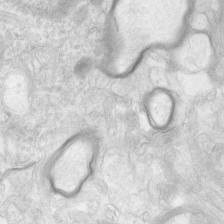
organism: Human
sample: Neocortex